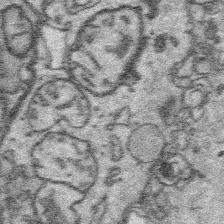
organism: Platynereis dumerilii